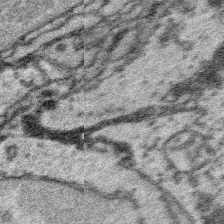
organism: Platynereis dumerilii